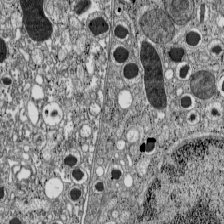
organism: C57BL Mouse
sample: Pancreatic islet